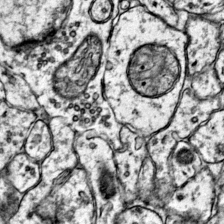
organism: Mouse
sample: Primary visual cortex